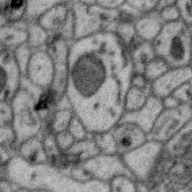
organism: Zebra finch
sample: Brain